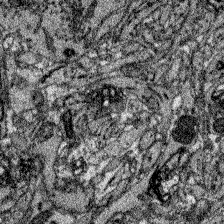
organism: Zebrafish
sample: Larval olfactory bulb